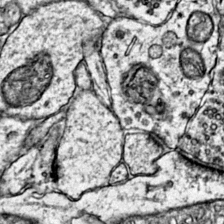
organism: Mouse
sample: Primary visual cortex